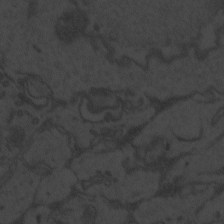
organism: Zebrafish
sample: Macrophage infected with Toxoplasma gondii